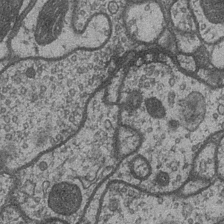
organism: Drosophila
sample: Optic medulla